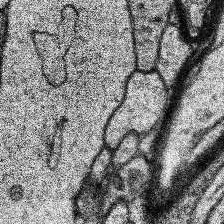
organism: Human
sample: Temporal Lobe